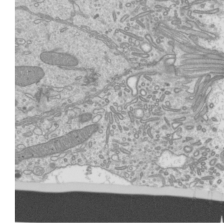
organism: Mouse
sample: Cilia; mouse epididymis